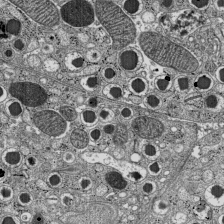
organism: C57BL Mouse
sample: Pancreatic islet